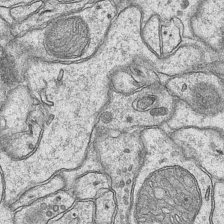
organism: Mouse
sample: CA1 Hippocampus